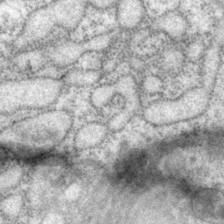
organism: P. pacificus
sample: Pharynx